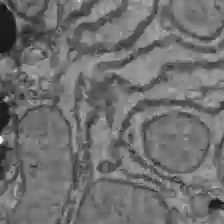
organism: C57BL Mouse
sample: Liver